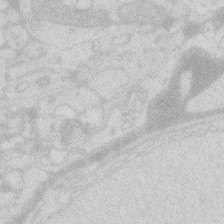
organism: Zebrafish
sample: Macrophage